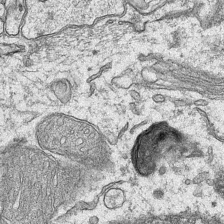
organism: Mouse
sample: CA1 Hippocampus